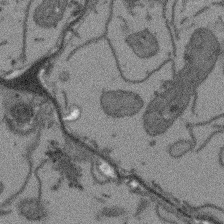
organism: Arabidopsis thaliana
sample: Root tip